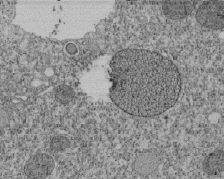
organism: Tetrahymena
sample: Cilia in tetrahymena